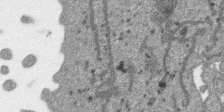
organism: Human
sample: Lung epithelial cells infected with SARS-CoV-2